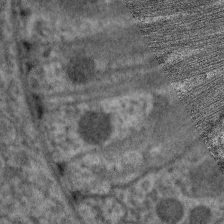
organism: C. elegans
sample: Pharynx